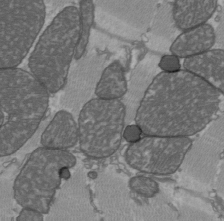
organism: C57BL Mouse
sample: Heart